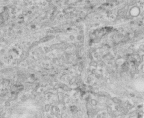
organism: Human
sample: Centriole in fibroblast cells